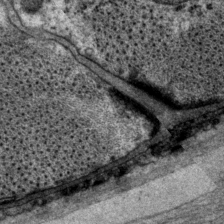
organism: P. pacificus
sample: Pharynx